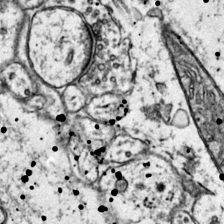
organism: Mouse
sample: Primary visual cortex